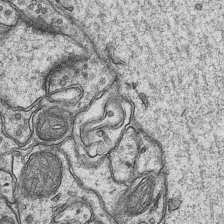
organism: Mouse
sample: CA1 Hippocampus